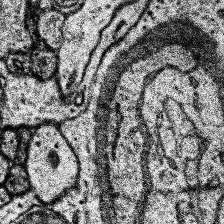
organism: Human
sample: Temporal Lobe